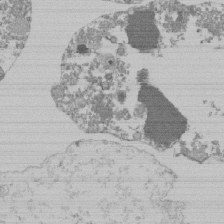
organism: Mouse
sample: Activated Pmel transgenic CD8+ T Cells